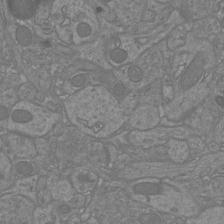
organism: Mouse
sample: Cortical neurons